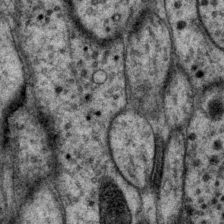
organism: P. pacificus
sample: Pharynx